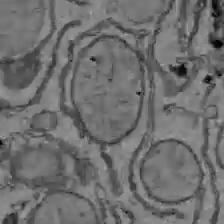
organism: C57BL Mouse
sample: Liver